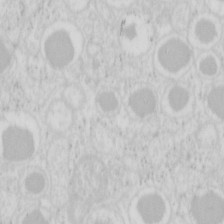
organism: Mouse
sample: Pancreas